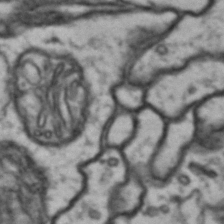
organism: Drosophila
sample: Brain